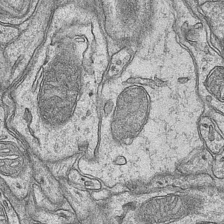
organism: Mouse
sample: CA1 Hippocampus